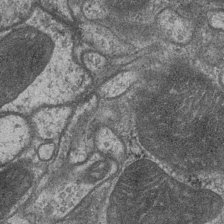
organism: Drosophila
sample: Optic medulla